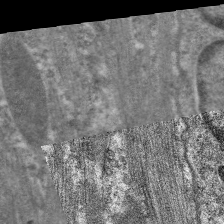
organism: C. elegans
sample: Pharynx